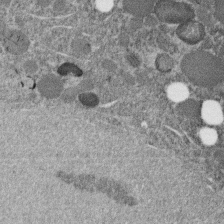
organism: C. elegans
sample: C. elegans embryo early stage